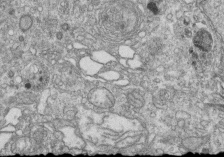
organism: Human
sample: HeLa cell HIV synapse